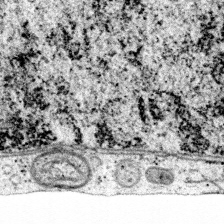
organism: Human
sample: HeLa cells